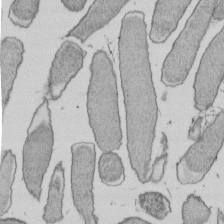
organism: E. coli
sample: Bacterial nucleoid